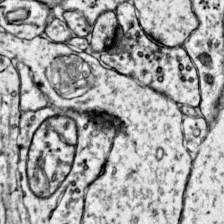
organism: Mouse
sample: Primary visual cortex